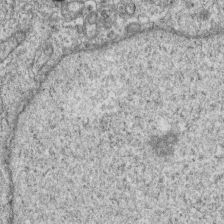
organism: Human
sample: HeLa cell HIV synapse